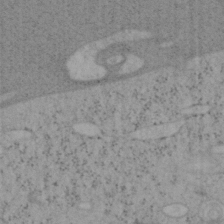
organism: Mouse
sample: OT-I killer T cells with ID8 ovarian cancer cells